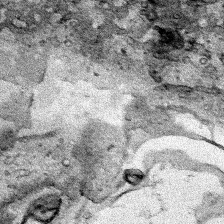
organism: Human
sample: Mitochondria in HCT116 cells